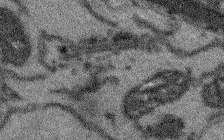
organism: Arabidopsis thaliana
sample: Root tip